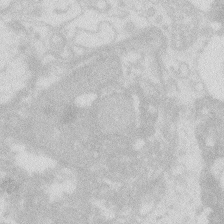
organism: Zebrafish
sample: Macrophage